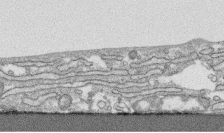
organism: Human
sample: CRL-1474